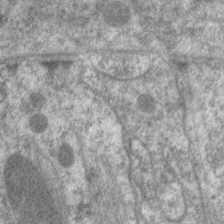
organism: C. elegans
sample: Pharynx